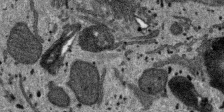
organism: Human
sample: Lung epithelial cells, uninfected (mock) control